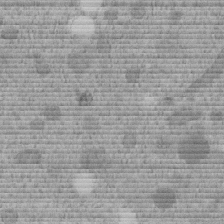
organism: C. elegans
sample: C. elegans embryo early stage